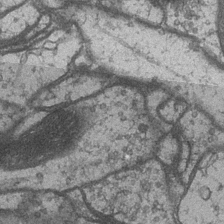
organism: Drosophila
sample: Optic medulla